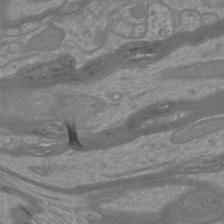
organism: Mouse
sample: Cortical neurons